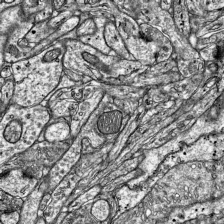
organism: Mouse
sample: Visual Cortex